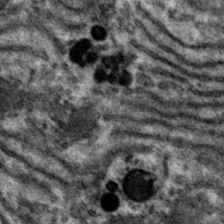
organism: Mouse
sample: Mouse hepatocytes